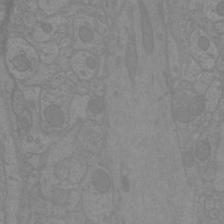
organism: Mouse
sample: Cortical neurons